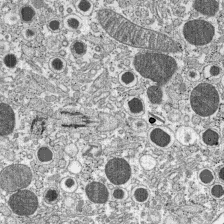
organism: C57BL Mouse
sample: Pancreatic islet